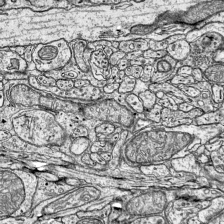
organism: Mouse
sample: Visual Cortex